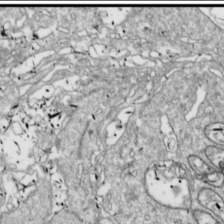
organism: Drosophila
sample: Cell division; meiosis; drosophila spermatocytes